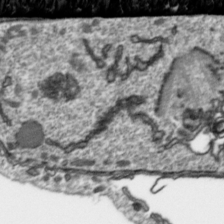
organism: Toxoplasma gondii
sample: Parasites in a vacuole inside a host cell